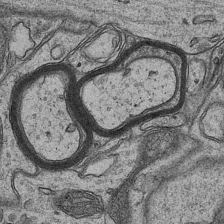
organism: Mouse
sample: CA1 Hippocampus